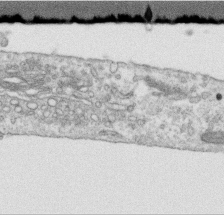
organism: Human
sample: Centriole in RPE cells